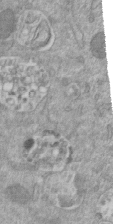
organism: Mouse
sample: ED-1 cell nuclei; centrioles